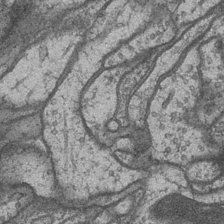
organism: Drosophila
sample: Optic medulla